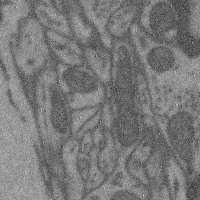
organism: Mouse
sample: Cerebral cortex